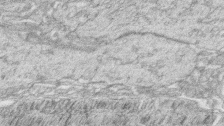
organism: Zebrafish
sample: synaptic ribbons in rod cells and cone cells